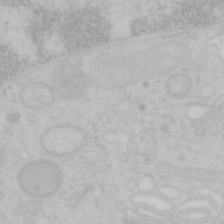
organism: Mouse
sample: OT-I killer T cells with ID8 ovarian cancer cells